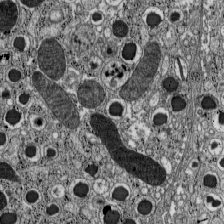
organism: C57BL Mouse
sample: Pancreatic islet